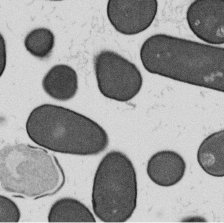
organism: B. subtilis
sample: Bacterial spore